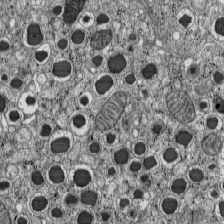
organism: C57BL Mouse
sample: Pancreatic islet